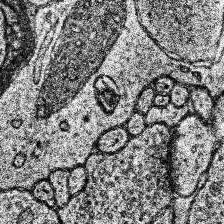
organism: Human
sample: Temporal Lobe